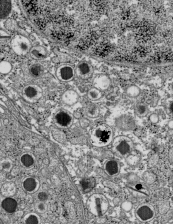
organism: C57BL Mouse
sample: Pancreatic islet